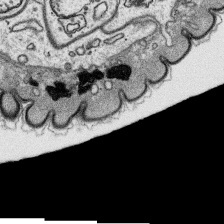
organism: Platynereis dumerilii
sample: Parapodia